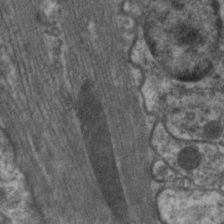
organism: C. elegans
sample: Pharynx